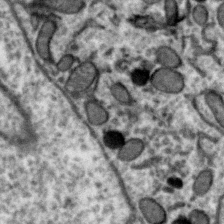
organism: Zebra finch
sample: Brain